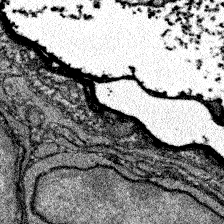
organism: Zebrafish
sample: Larval olfactory bulb